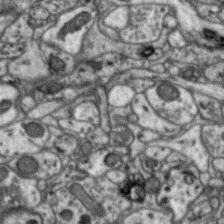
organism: Zebra finch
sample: Brain